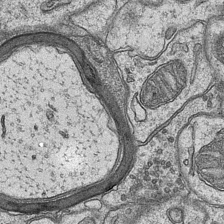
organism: Mouse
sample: CA1 Hippocampus